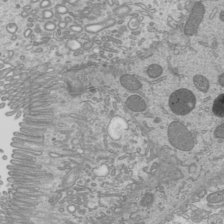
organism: Mouse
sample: Cilia; mouse epididymis